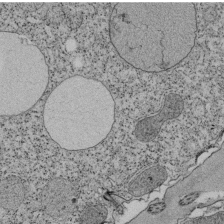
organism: Tetrahymena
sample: Cilia in tetrahymena